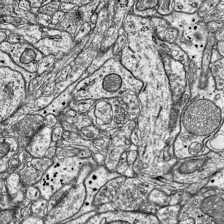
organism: Mouse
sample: Visual Cortex